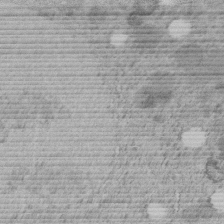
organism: C. elegans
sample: C. elegans embryo early stage